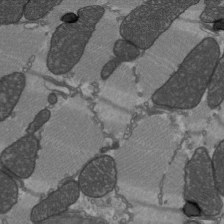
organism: C57BL Mouse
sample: Heart